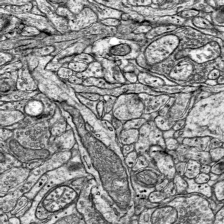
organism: Mouse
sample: Visual Cortex